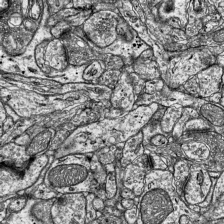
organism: Mouse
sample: Visual Cortex